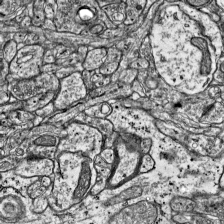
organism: Mouse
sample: Visual Cortex